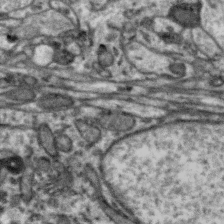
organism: Zebra finch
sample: Brain